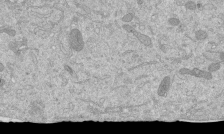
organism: Mouse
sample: ED-1 cell nuclei; centrioles